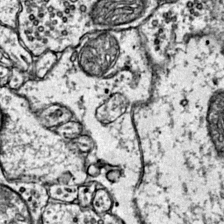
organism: Mouse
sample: Primary visual cortex